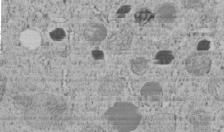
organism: C. elegans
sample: C. elegans embryo early stage